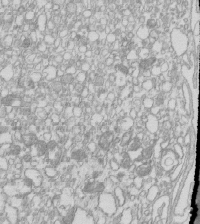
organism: Mouse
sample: Macrophages